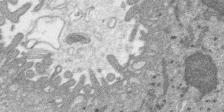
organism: Human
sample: Lung epithelial cells infected with SARS-CoV-2